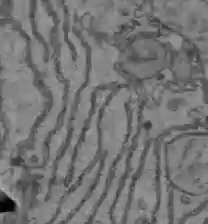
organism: C57BL Mouse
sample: Liver